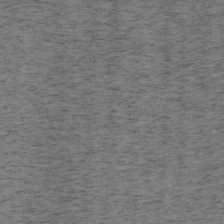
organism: Mouse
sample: OT-I killer T cells with ID8 ovarian cancer cells